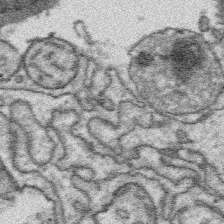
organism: Platynereis dumerilii